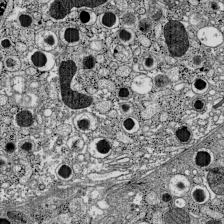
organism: C57BL Mouse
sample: Pancreatic islet